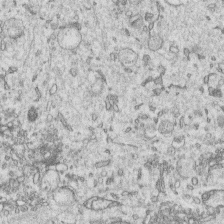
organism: Human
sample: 1205lu cells